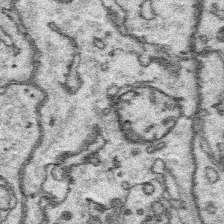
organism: Platynereis dumerilii